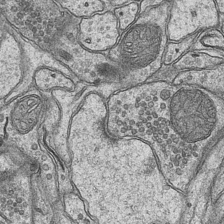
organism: Mouse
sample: CA1 Hippocampus